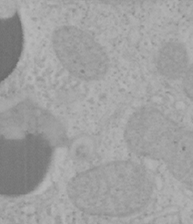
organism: Mouse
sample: OT-I killer T cells with ID8 ovarian cancer cells